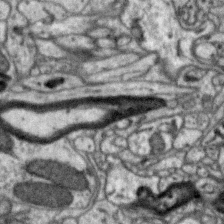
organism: Zebra finch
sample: Brain